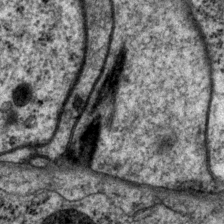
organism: P. pacificus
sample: Pharynx